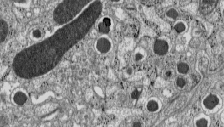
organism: C57BL Mouse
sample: Pancreatic islet